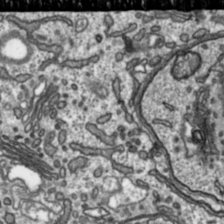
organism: Toxoplasma gondii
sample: Parasites in a vacuole inside a host cell